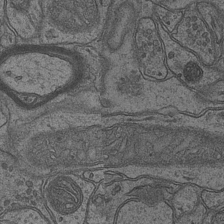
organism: Mouse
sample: CA1 Hippocampus